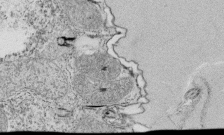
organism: Tetrahymena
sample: Cilia in tetrahymena